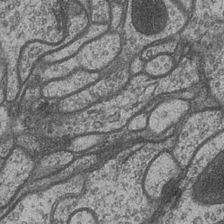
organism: Drosophila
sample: Optic medulla